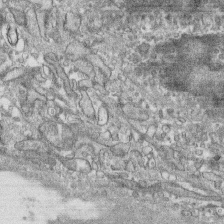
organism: Human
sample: CRL-1474